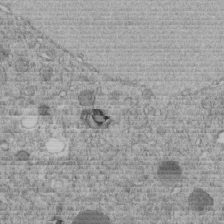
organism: C. elegans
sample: C. elegans embryo early stage